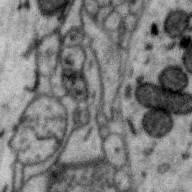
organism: Zebra finch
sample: Brain